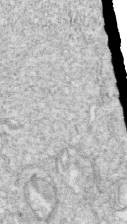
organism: Human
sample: HeLa cell HIV synapse